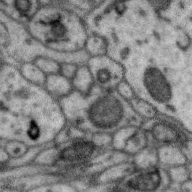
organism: Zebra finch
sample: Brain